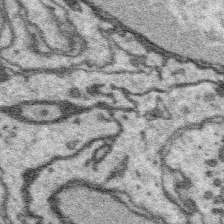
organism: Platynereis dumerilii